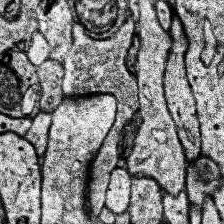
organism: Human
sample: Temporal Lobe